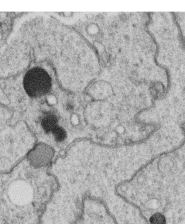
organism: C. elegans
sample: C. elegans oocyte; sperm cells